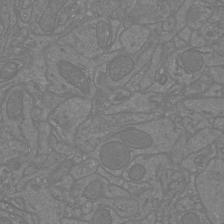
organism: Mouse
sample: Cortical neurons